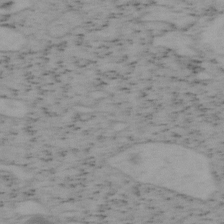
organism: Mouse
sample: OT-I killer T cells with ID8 ovarian cancer cells